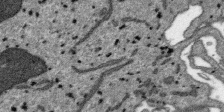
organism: Human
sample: Lung epithelial cells, uninfected (mock) control